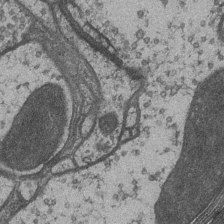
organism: Drosophila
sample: Optic medulla